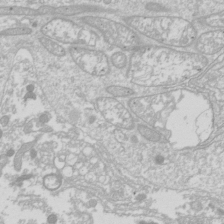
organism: Drosophila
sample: Cell division; meiosis; drosophila spermatocytes